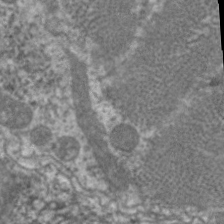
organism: C. elegans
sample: Pharynx